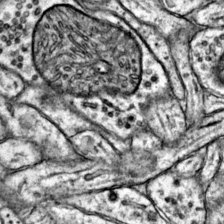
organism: Mouse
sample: Primary visual cortex